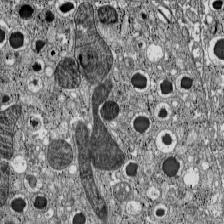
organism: C57BL Mouse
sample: Pancreatic islet